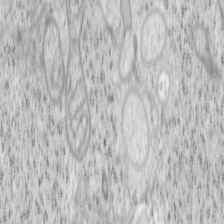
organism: Human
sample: HeLa cells